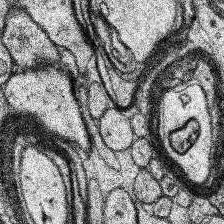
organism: Human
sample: Temporal Lobe